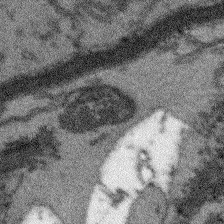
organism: Arabidopsis thaliana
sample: Root tip